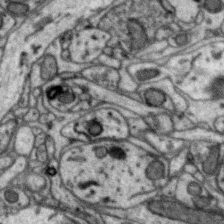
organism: Zebra finch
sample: Brain